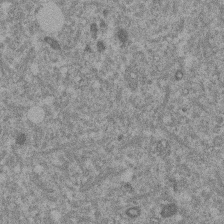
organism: Mouse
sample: Dividing mouse embryo 1 cell stage